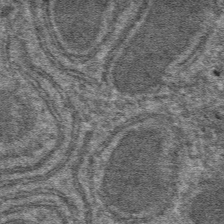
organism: Mouse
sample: Mouse hepatocytes